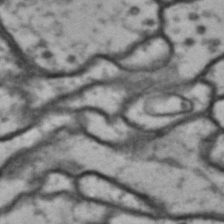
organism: Drosophila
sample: Brain